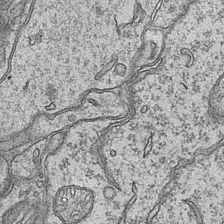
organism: Mouse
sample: CA1 Hippocampus